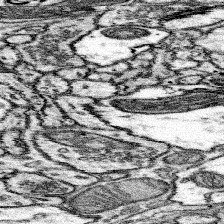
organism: Mouse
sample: Somatosensory cortex neuropil